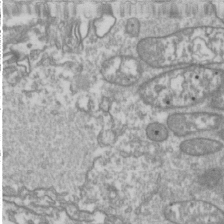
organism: Drosophila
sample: Cell division; meiosis; drosophila spermatocytes